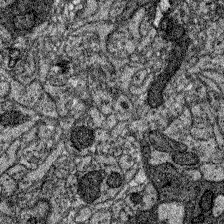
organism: Zebrafish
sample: Larval olfactory bulb